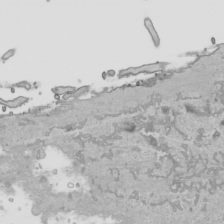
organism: Human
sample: Mitochondria in HCT116 cells